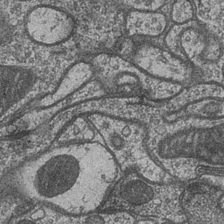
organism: Drosophila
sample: Optic medulla